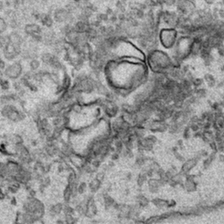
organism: Human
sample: Mitochondria in HCT116 cells